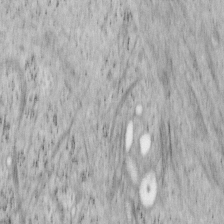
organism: Human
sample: HeLa cells